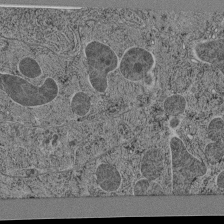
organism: C. elegans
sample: C. elegans pharynx